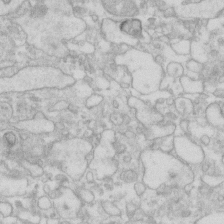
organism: Human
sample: Fibroblast cells